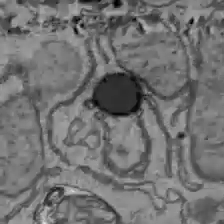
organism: C57BL Mouse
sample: Liver